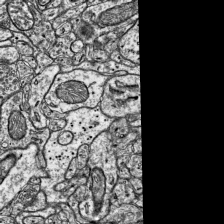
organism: Mouse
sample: Visual Cortex